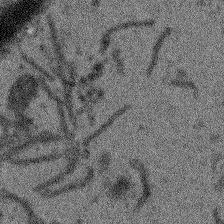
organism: Arabidopsis thaliana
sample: Root tip